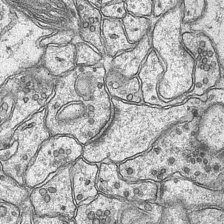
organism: Mouse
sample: CA1 Hippocampus